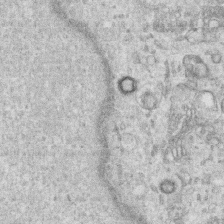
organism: Human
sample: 1205lu cells